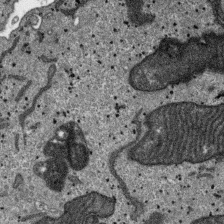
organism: Human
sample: Lung epithelial cells, uninfected (mock) control